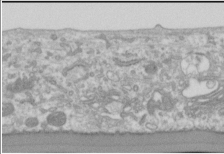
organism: Human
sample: Cilia; basal body in RPE cells